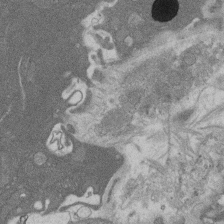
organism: Rat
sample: Salivary granule